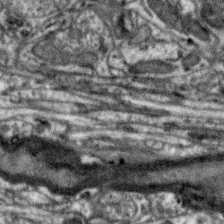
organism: Zebra finch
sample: Brain